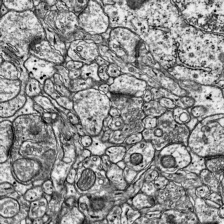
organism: Mouse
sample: Visual Cortex